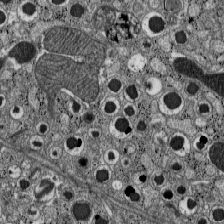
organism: C57BL Mouse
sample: Pancreatic islet